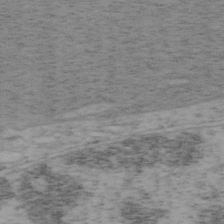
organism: Mouse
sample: OT-I killer T cells with ID8 ovarian cancer cells